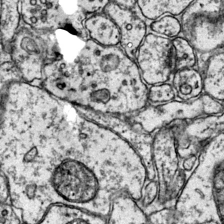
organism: Mouse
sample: Primary visual cortex